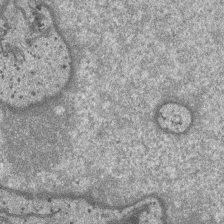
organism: Human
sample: Lung epithelial cells infected with SARS-CoV-2